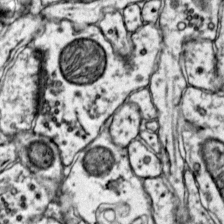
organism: Mouse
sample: Primary visual cortex